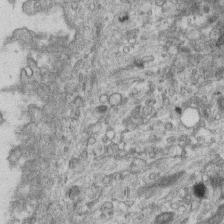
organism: Mouse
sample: Centriole in ependymal cells